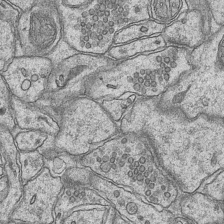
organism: Mouse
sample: CA1 Hippocampus